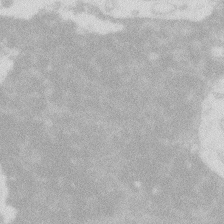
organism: Zebrafish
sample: Macrophage